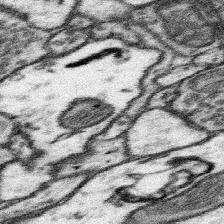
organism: Mouse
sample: Somatosensory cortex neuropil